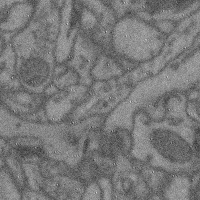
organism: Mouse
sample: Cerebral cortex